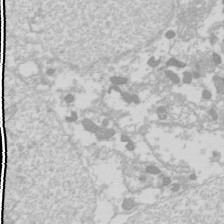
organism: Drosophila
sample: Cell division; meiosis; drosophila spermatocytes